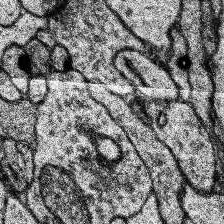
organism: Human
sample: Temporal Lobe